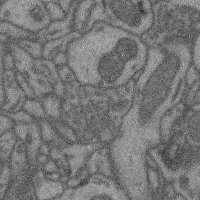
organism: Mouse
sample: Cerebral cortex